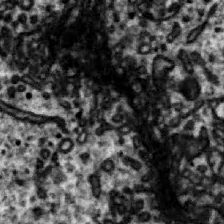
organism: Human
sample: HeLa cells